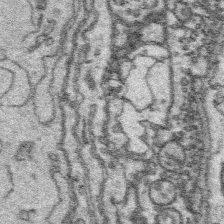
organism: Platynereis dumerilii